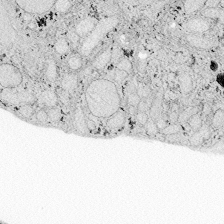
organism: Zebrafish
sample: Whole-Brain